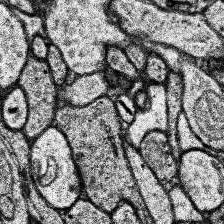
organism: Human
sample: Temporal Lobe